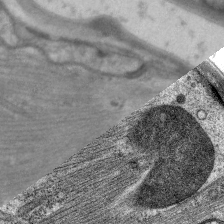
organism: C. elegans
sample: Pharynx